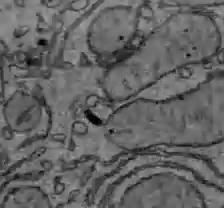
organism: C57BL Mouse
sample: Liver